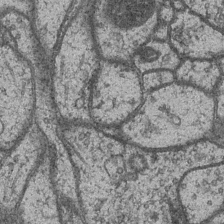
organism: Drosophila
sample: Optic medulla